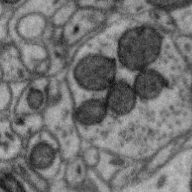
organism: Zebra finch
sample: Brain